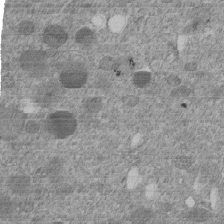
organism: C. elegans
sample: C. elegans embryo early stage